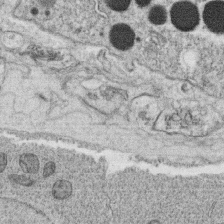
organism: C. elegans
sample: C. elegans oocyte; sperm cells